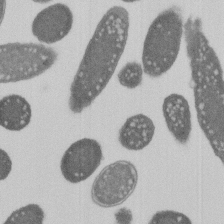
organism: E. coli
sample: Bacterial nucleoid